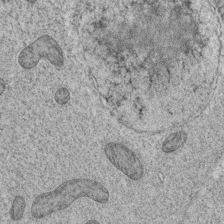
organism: C. elegans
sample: C. elegans oocyte; sperm cells